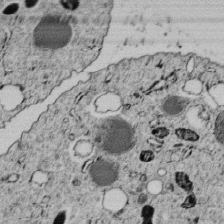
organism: C. elegans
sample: C. elegans embryo early stage